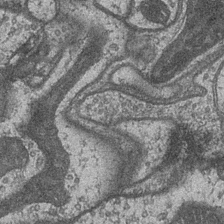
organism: Drosophila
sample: Optic medulla